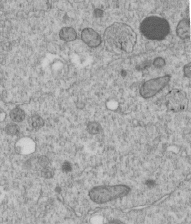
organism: C. elegans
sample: C. elegans embryo early stage